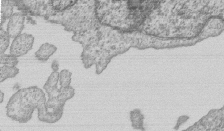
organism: Human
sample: MDA-MB-231 cells